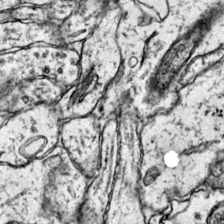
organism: Mouse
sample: Primary visual cortex